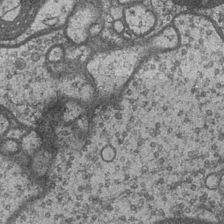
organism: Drosophila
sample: Optic medulla